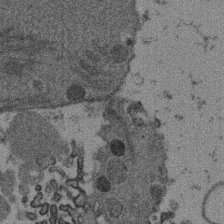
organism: Mouse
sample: Dividing mouse embryo 1 cell stage